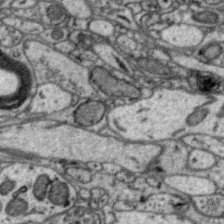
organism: Zebra finch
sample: Brain